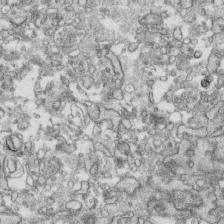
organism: Human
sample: CRL-1474